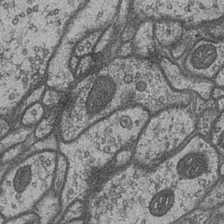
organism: Drosophila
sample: Optic medulla